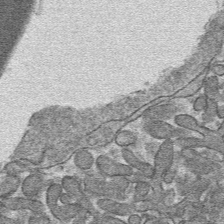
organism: Mouse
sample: Mouse hepatocytes